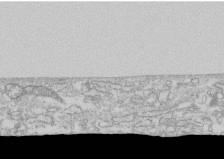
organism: Human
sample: CRL-1474